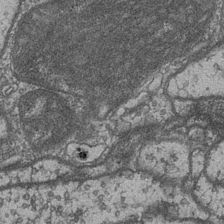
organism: Drosophila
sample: Optic medulla